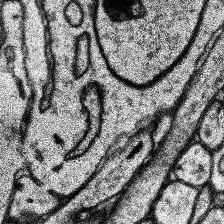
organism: Human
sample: Temporal Lobe